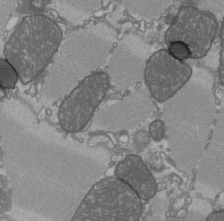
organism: C57BL Mouse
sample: Heart